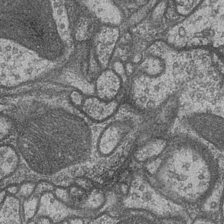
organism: Drosophila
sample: Optic medulla